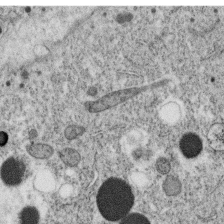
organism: C. elegans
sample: C. elegans oocyte; sperm cells